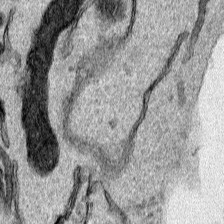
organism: Human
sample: Mitochondria in HCT116 cells